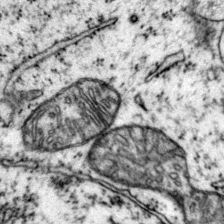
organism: Mouse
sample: Primary visual cortex